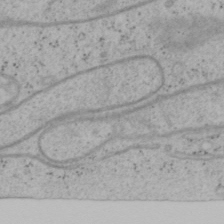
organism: Human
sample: HeLa cells